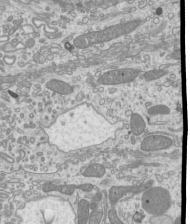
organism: Mouse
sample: Cilia; mouse epididymis